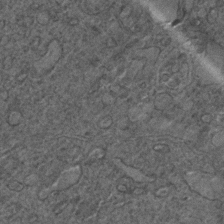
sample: Trachea